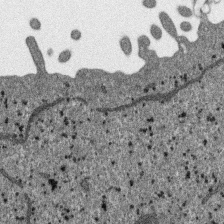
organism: Human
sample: Lung epithelial cells infected with SARS-CoV-2